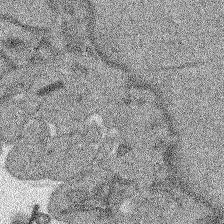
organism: Human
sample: HeLa cells